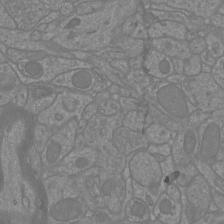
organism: Mouse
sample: Cortical neurons